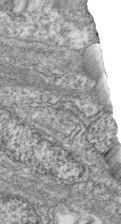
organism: Zebrafish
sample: Cilia; retinal pigment epithelium